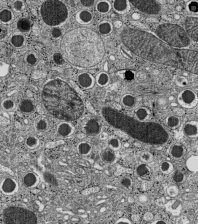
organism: C57BL Mouse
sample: Pancreatic islet